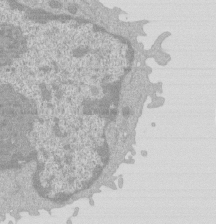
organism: Mouse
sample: Activated Pmel transgenic CD8+ T Cells